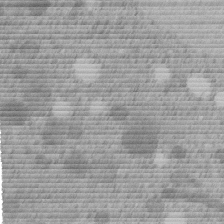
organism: C. elegans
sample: C. elegans embryo early stage